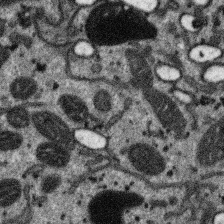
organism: Human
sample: Lung epithelial cells infected with SARS-CoV-2